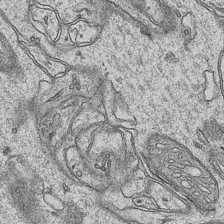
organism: Mouse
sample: CA1 Hippocampus